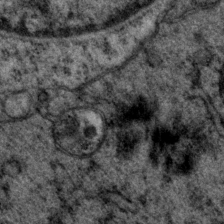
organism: P. pacificus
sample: Pharynx